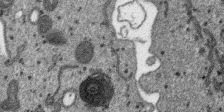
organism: Human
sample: Lung epithelial cells infected with SARS-CoV-2